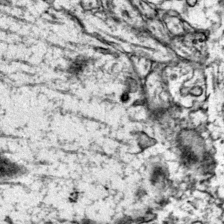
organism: Mouse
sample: Primary visual cortex